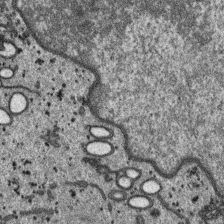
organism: Human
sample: Lung epithelial cells infected with SARS-CoV-2